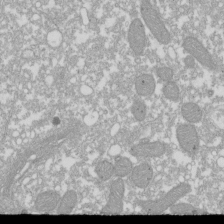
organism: Xenopus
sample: Cilia; centrioles in frog embryo cells